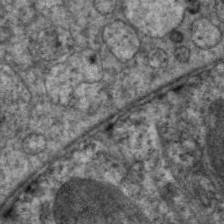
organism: C. elegans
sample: Pharynx